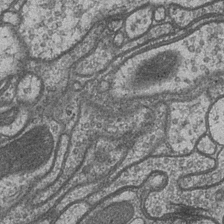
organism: Drosophila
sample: Optic medulla